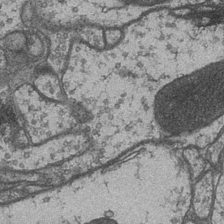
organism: Drosophila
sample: Optic medulla